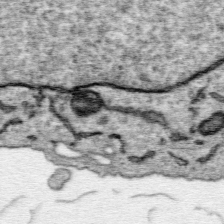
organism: Human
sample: HeLa cells